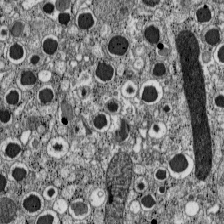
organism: C57BL Mouse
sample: Pancreatic islet